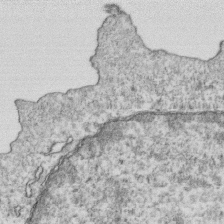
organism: Mouse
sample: Activated OT-1 CD8+ T cells